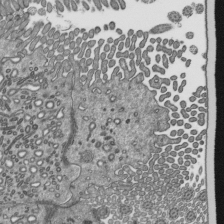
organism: Mouse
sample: Mouse epididymis efferent ductule cilia